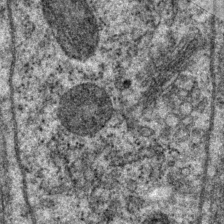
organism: P. pacificus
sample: Pharynx